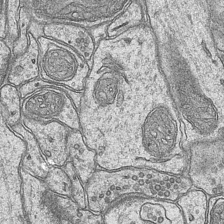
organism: Mouse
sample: CA1 Hippocampus